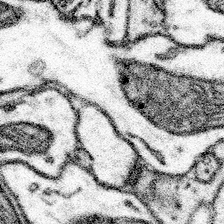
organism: Mouse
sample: Somatosensory cortex neuropil